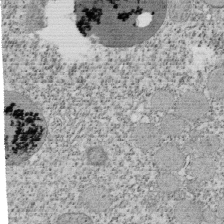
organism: Tetrahymena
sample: Cilia in tetrahymena